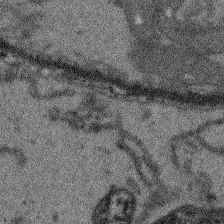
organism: Arabidopsis thaliana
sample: Root tip